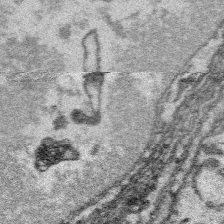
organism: Platynereis dumerilii